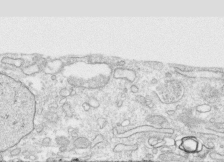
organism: Human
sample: CRL-1474